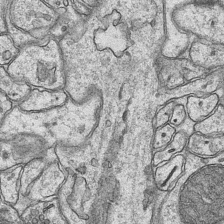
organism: Mouse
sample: CA1 Hippocampus